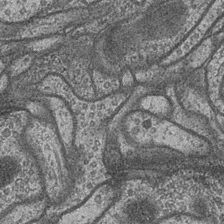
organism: Drosophila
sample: Optic medulla